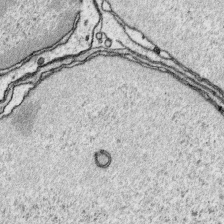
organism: Platynereis dumerilii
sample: Parapodia